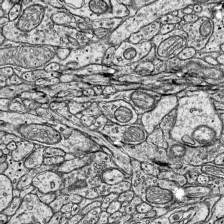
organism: Mouse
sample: Visual Cortex